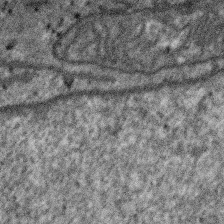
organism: Human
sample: Lung epithelial cells infected with SARS-CoV-2